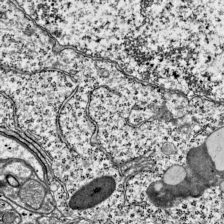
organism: Mouse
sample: Visual Cortex